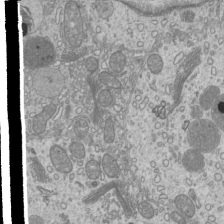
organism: Mouse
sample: Cilia; mouse epididymis